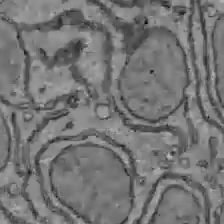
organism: C57BL Mouse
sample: Liver